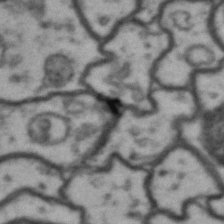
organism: Drosophila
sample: Brain